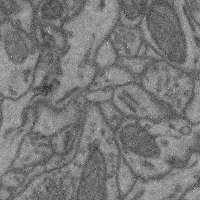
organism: Mouse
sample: Cerebral cortex